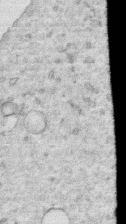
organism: Human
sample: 1205lu cells